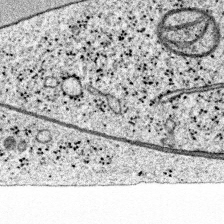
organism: Human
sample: HeLa cells